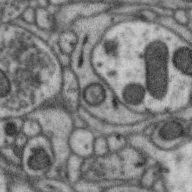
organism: Zebra finch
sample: Brain